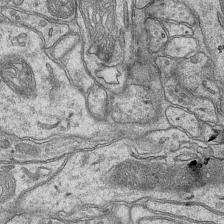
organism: Mouse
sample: CA1 Hippocampus